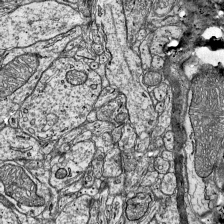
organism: Mouse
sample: Visual Cortex